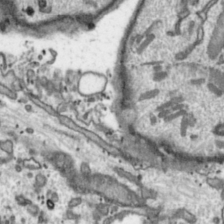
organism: Toxoplasma gondii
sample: Parasites in a vacuole inside a host cell